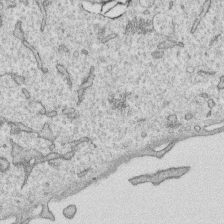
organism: Human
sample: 1205lu cells